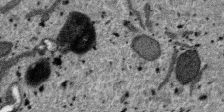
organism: Human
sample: Lung epithelial cells, uninfected (mock) control